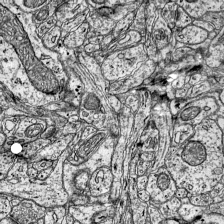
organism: Mouse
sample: Visual Cortex